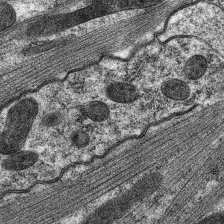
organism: C. elegans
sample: Pharynx